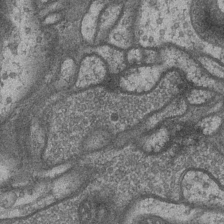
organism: Drosophila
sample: Optic medulla